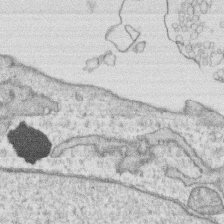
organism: Human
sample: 1205lu cells